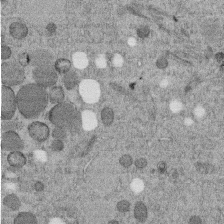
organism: C. elegans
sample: C. elegans embryo early stage